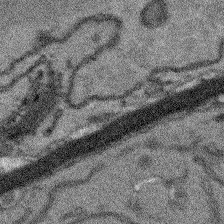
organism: Arabidopsis thaliana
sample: Root tip